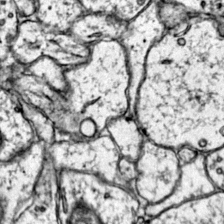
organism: Mouse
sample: Primary visual cortex